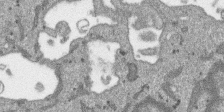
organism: Human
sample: Lung epithelial cells infected with SARS-CoV-2